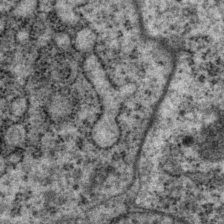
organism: P. pacificus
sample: Pharynx